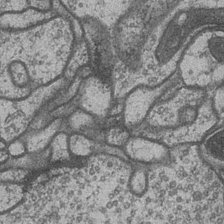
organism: Drosophila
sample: Optic medulla